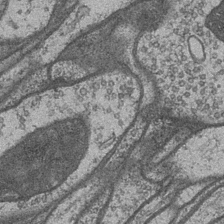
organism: Drosophila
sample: Optic medulla